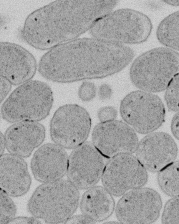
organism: E. coli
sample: Bacterial nucleoid